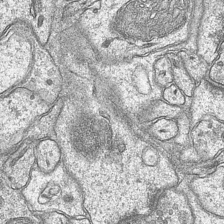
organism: Mouse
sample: CA1 Hippocampus